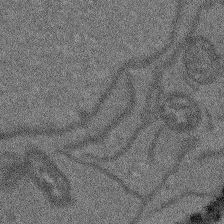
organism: Arabidopsis thaliana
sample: Root tip